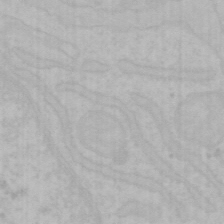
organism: Mouse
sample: Choroid plexus